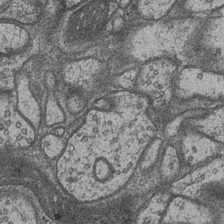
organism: Drosophila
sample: Optic medulla